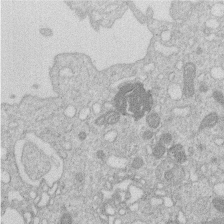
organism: Human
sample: Macrophage cells